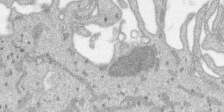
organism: Human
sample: Lung epithelial cells infected with SARS-CoV-2